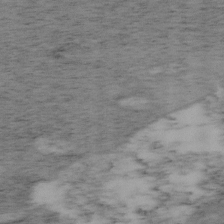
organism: Mouse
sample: OT-I killer T cells with ID8 ovarian cancer cells